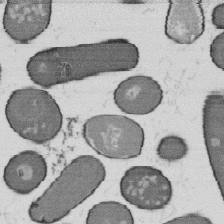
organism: B. subtilis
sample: Bacterial spore